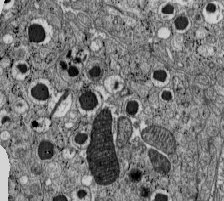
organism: C57BL Mouse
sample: Pancreatic islet